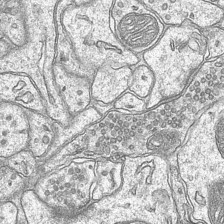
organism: Mouse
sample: CA1 Hippocampus